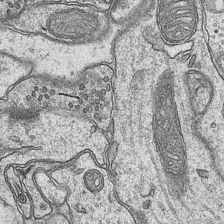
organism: Mouse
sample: CA1 Hippocampus